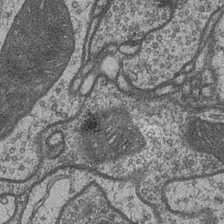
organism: Drosophila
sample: Optic medulla